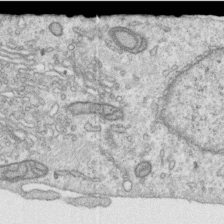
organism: Human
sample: Centriole in RPE cells